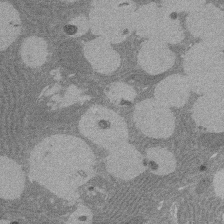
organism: Rat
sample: Salivary granule